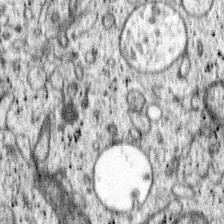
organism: Human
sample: HeLa cells